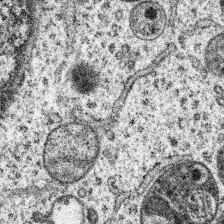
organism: Human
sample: HeLa cells